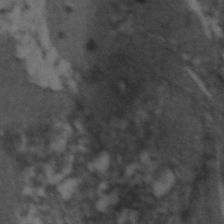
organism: Zebrafish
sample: Zebrafish embryo